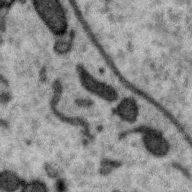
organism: Zebra finch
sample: Brain